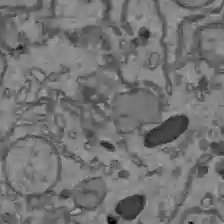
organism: C57BL Mouse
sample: Liver